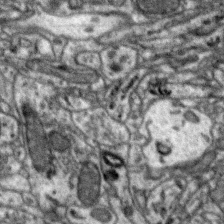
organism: Zebra finch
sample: Brain